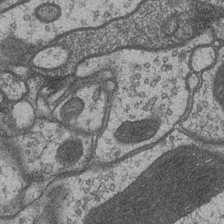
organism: Drosophila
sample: Optic medulla